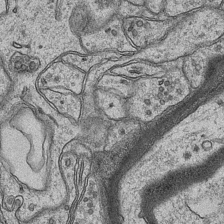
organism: Mouse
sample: CA1 Hippocampus